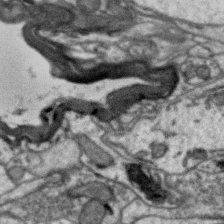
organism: Zebra finch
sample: Brain